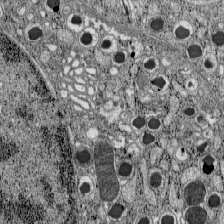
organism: C57BL Mouse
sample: Pancreatic islet